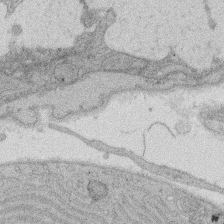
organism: Rat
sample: Salivary granule